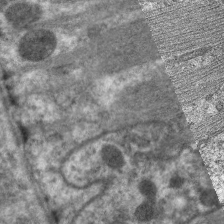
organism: C. elegans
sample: Pharynx